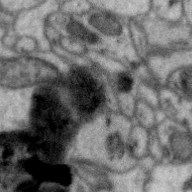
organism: Zebra finch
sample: Brain